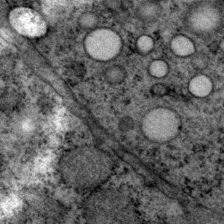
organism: P. pacificus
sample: Pharynx